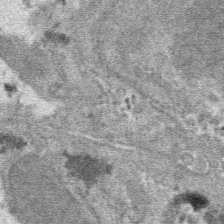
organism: Mouse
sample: Mouse hepatocytes